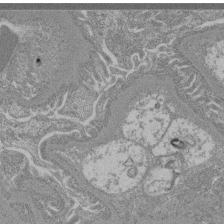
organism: Mouse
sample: Glomerulus